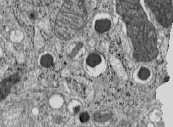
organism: C57BL Mouse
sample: Pancreatic islet